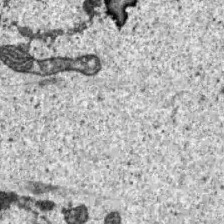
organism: Human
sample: HeLa cells